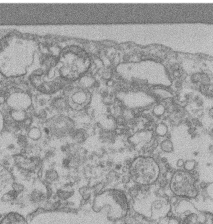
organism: Mouse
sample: T cell stromal cell synapse